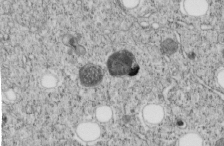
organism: C. elegans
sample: C. elegans embryo early stage